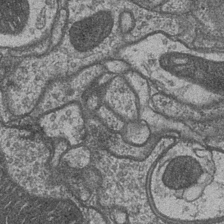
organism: Drosophila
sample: Optic medulla